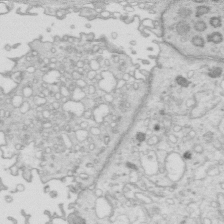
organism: Mouse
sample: Multiciliated cells